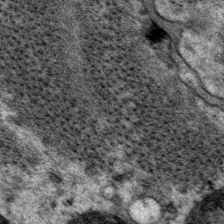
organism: P. pacificus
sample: Pharynx